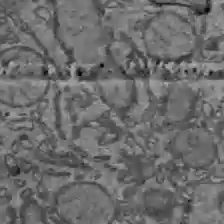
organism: C57BL Mouse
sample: Liver